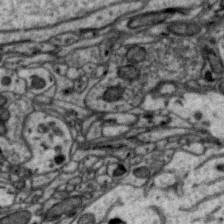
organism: Zebra finch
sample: Brain